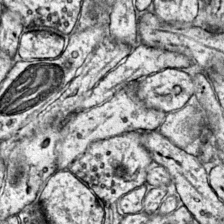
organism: Mouse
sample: Primary visual cortex